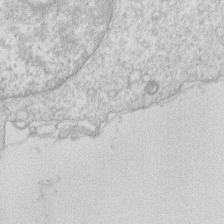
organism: Human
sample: Macrophage cells